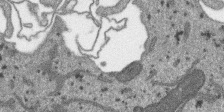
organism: Human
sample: Lung epithelial cells infected with SARS-CoV-2